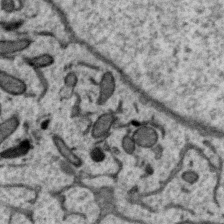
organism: Zebra finch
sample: Brain